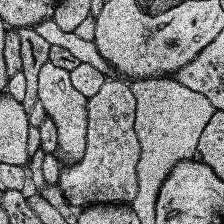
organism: Human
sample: Temporal Lobe